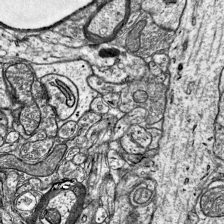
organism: Mouse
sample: Visual Cortex